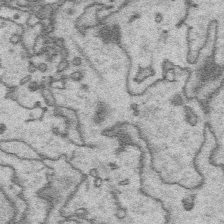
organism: Platynereis dumerilii